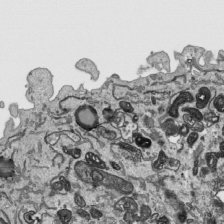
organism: Human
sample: Mitochondria in HCT116 cells